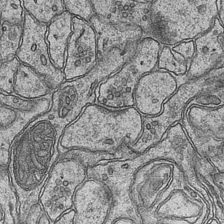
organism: Mouse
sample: CA1 Hippocampus